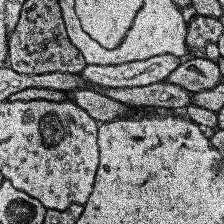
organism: Human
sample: Temporal Lobe